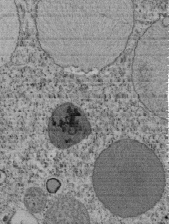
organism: Tetrahymena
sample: Cilia in tetrahymena